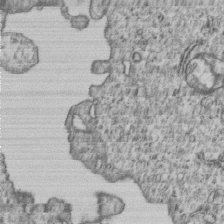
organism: Human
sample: MDA-MB-231 cells